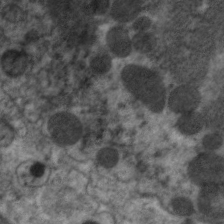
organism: C. elegans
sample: Pharynx